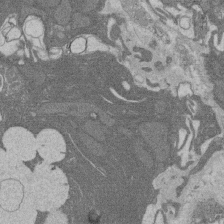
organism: Rat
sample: Salivary granule